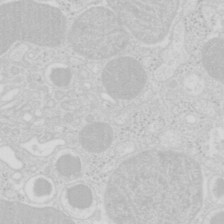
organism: Mouse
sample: Pancreas